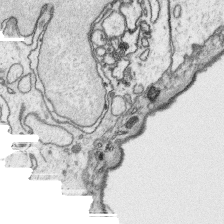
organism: Platynereis dumerilii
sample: Parapodia